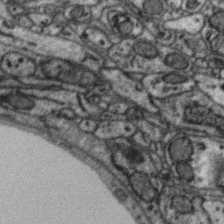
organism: Zebra finch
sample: Brain